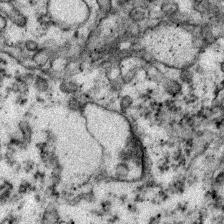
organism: Zebrafish